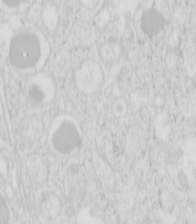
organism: Mouse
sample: Pancreas